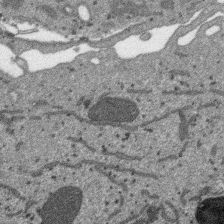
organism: Human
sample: Lung epithelial cells infected with SARS-CoV-2